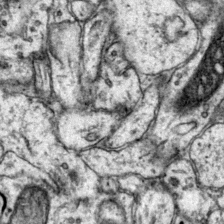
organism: Mouse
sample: Primary visual cortex